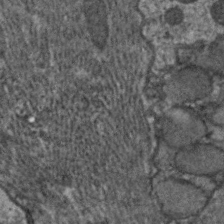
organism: C. elegans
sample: Pharynx